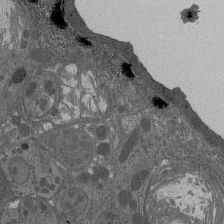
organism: Drosophila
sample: Antenna